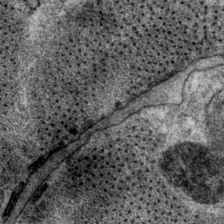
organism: P. pacificus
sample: Pharynx